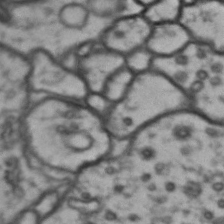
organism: Drosophila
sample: Brain